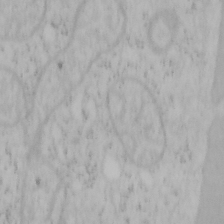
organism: Mouse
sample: OT-I killer T cells with ID8 ovarian cancer cells